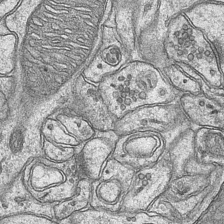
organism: Mouse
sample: CA1 Hippocampus